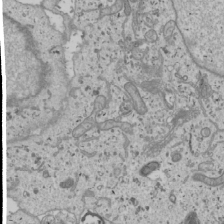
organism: Human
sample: Mitochondria in U2OS cells